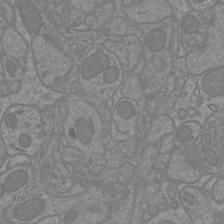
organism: Mouse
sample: Cortical neurons